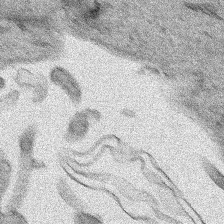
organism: Human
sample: Mitochondria in HCT116 cells